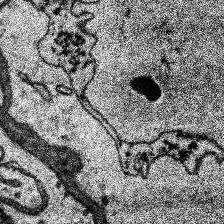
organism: Human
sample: Temporal Lobe